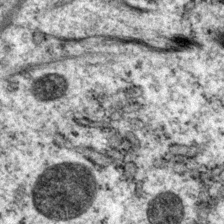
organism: P. pacificus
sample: Pharynx